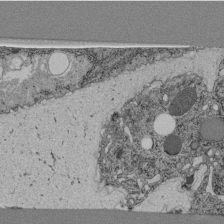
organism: C. elegans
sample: C. elegans pharynx